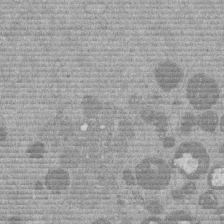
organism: Mouse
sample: Dividing mouse embryo 1 cell stage